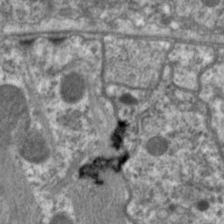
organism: C. elegans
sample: Pharynx